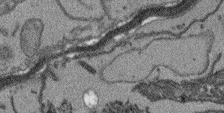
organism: Arabidopsis thaliana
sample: Root tip